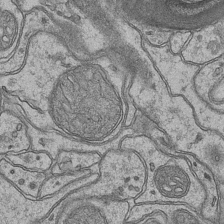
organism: Mouse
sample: CA1 Hippocampus